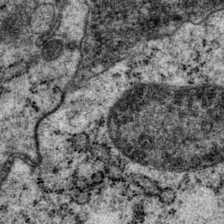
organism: P. pacificus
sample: Pharynx